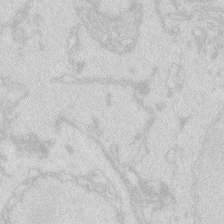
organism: Zebrafish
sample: Macrophage